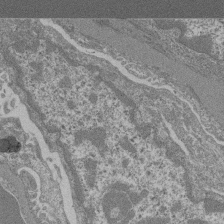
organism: Mouse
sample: Glomerulus